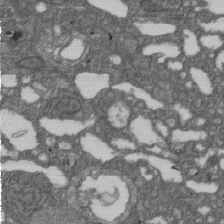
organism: Drosophila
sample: Nephrocyte